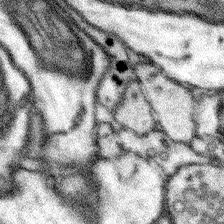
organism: Mouse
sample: Somatosensory cortex neuropil